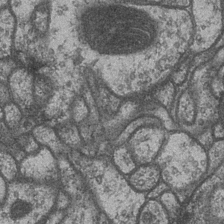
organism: Drosophila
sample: Optic medulla